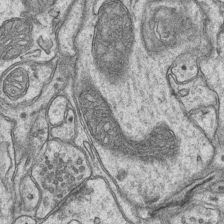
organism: Mouse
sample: CA1 Hippocampus